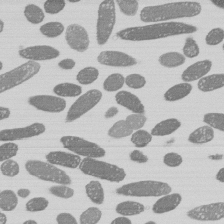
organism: E. coli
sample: Bacterial nucleoid